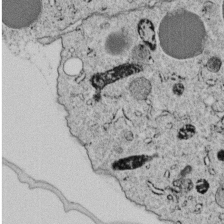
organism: C. elegans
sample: C. elegans embryo early stage